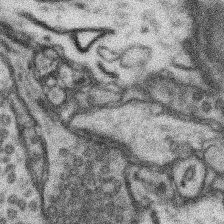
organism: Mouse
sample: Somatosensory cortex neuropil